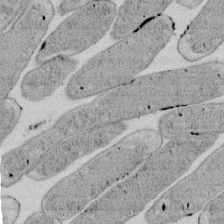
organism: E. coli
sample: Bacterial nucleoid